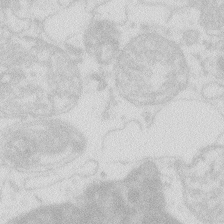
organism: Zebrafish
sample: Macrophage